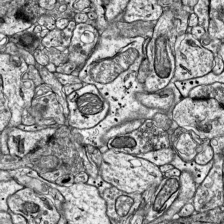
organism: Mouse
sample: Visual Cortex